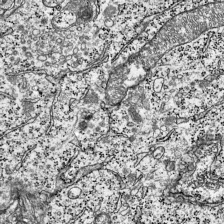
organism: Mouse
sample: Visual Cortex